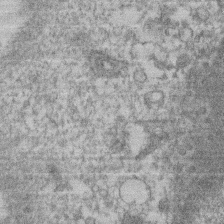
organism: Mouse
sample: T cell stromal cell synapse